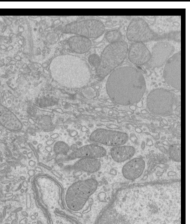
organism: Mouse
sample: Cilia; mouse epididymis